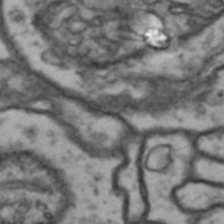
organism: Drosophila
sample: Brain